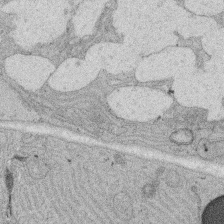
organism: Rat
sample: Salivary granule